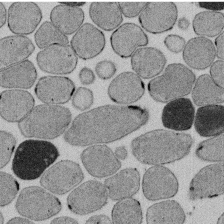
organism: E. coli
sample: Bacterial nucleoid